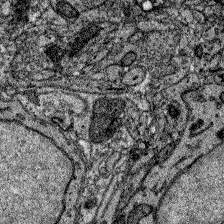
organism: Zebrafish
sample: Larval olfactory bulb